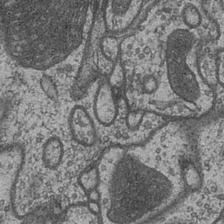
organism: Drosophila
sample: Optic medulla